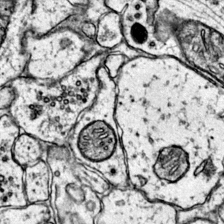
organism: Mouse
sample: Primary visual cortex